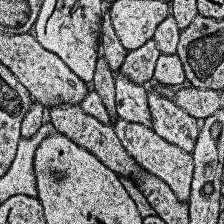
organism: Human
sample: Temporal Lobe